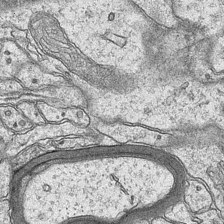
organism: Mouse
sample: CA1 Hippocampus